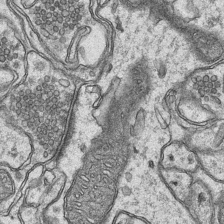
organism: Mouse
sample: CA1 Hippocampus